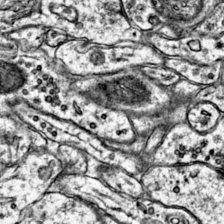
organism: Mouse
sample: Primary visual cortex